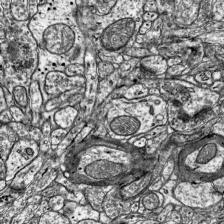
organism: Mouse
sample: Visual Cortex